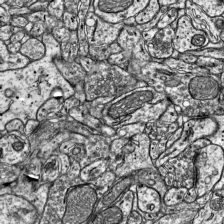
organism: Mouse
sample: Visual Cortex